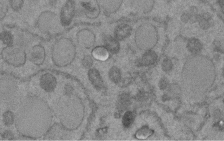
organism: C. elegans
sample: C. elegans embryo early stage